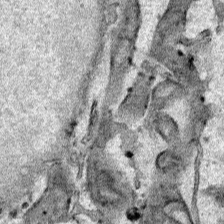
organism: Human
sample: Mitochondria in HCT116 cells